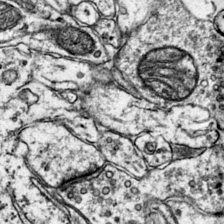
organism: Mouse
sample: Primary visual cortex